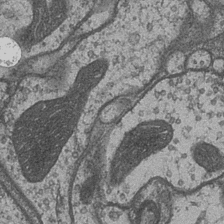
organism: Drosophila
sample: Optic medulla